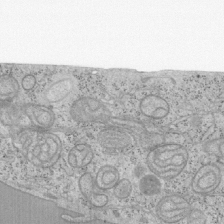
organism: Human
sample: HeLa cells